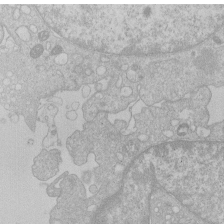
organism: Human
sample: Macrophage cells